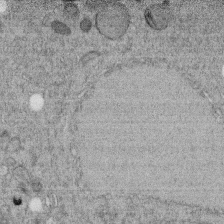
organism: C. elegans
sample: C. elegans embryo early stage